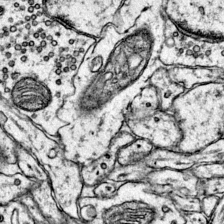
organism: Mouse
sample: Primary visual cortex